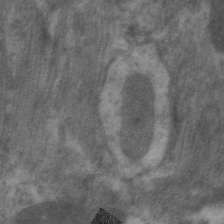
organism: C. elegans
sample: Pharynx